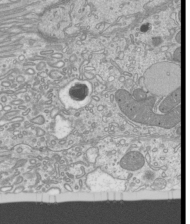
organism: Mouse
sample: Cilia; mouse epididymis